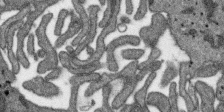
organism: Human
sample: Lung epithelial cells, uninfected (mock) control